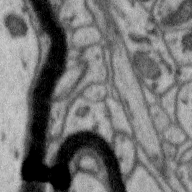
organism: Zebra finch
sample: Brain